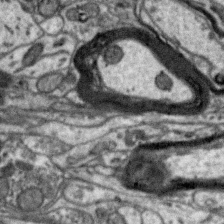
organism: Zebra finch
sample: Brain